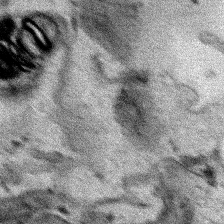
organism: Human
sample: Mitochondria in HCT116 cells